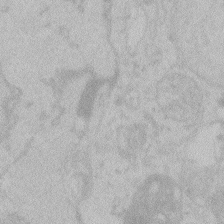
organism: Zebrafish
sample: Macrophage infected with Toxoplasma gondii